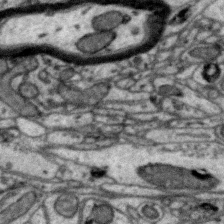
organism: Zebra finch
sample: Brain